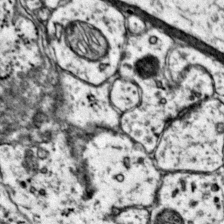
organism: Mouse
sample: Primary visual cortex